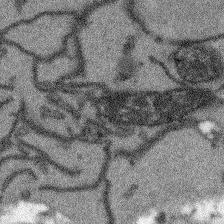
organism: Arabidopsis thaliana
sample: Root tip